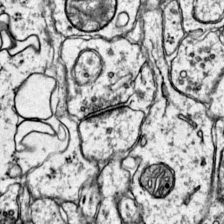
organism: Mouse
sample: Primary visual cortex